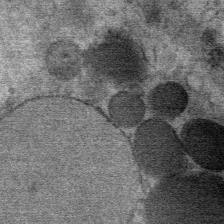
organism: Mouse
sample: Mouse Salivary gland